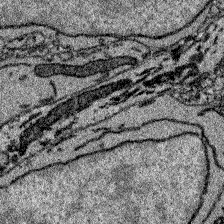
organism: Zebrafish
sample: Larval olfactory bulb